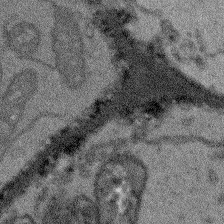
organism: Arabidopsis thaliana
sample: Root tip